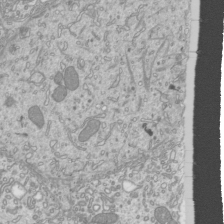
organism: Mouse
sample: Cilia; mouse epididymis